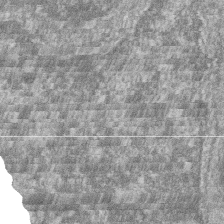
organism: Zebrafish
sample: Cilia; retinal pigment epithelium